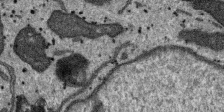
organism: Human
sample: Lung epithelial cells, uninfected (mock) control